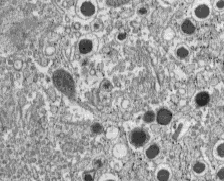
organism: C57BL Mouse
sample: Pancreatic islet